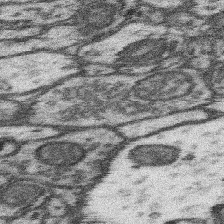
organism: Mouse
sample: Somatosensory cortex neuropil